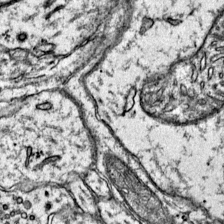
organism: Mouse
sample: Primary visual cortex